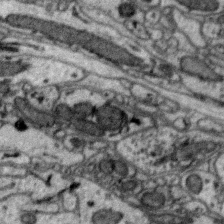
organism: Zebra finch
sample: Brain